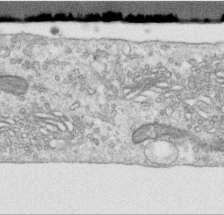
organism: Human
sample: Centriole in RPE cells